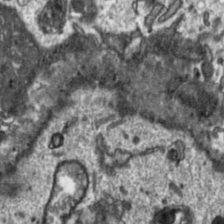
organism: Toxoplasma gondii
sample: Parasites in a vacuole inside a host cell